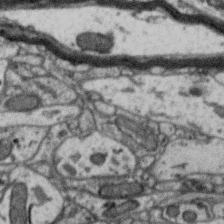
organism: Zebra finch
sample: Brain